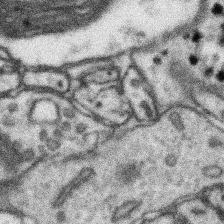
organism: Mouse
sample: Somatosensory cortex neuropil